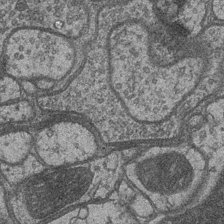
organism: Drosophila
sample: Optic medulla